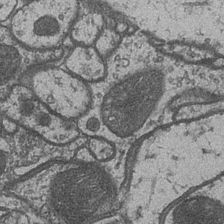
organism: Drosophila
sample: Optic medulla